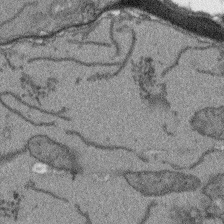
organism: Arabidopsis thaliana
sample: Root tip